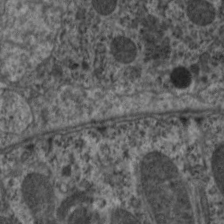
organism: C. elegans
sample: Pharynx